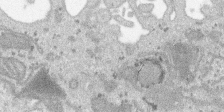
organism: Human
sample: Lung epithelial cells infected with SARS-CoV-2